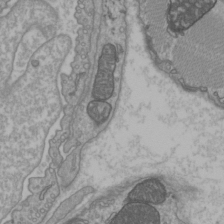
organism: C57BL Mouse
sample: Heart